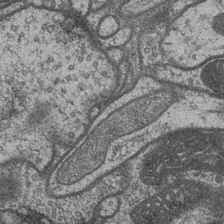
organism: Drosophila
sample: Optic medulla